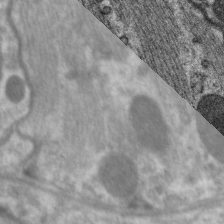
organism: C. elegans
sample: Pharynx